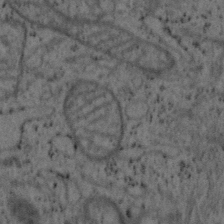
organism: Human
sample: HeLa cells